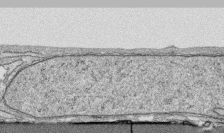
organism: Human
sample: CRL-1474